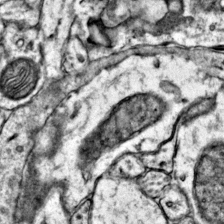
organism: Mouse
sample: Primary visual cortex